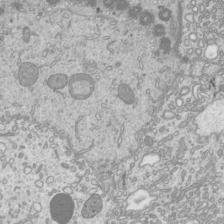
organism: Mouse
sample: Cilia; mouse epididymis